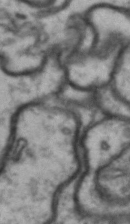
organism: Drosophila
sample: Brain